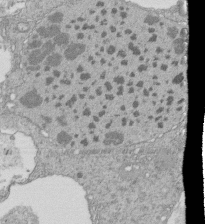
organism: Tetrahymena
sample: Cilia in tetrahymena